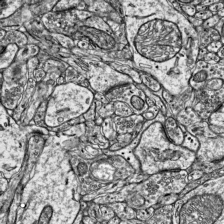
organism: Mouse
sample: Visual Cortex